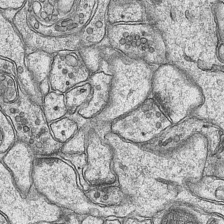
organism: Mouse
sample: CA1 Hippocampus